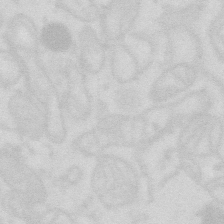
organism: Human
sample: HeLa cells